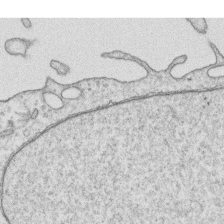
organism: Human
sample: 1205lu cells